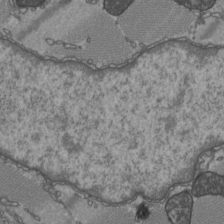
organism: C57BL Mouse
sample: Heart